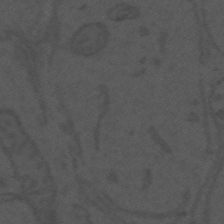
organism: Mouse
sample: Suprachiasmatic nucleus